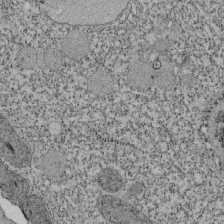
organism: Tetrahymena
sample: Cilia in tetrahymena